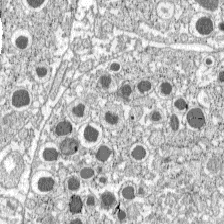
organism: C57BL Mouse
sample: Pancreatic islet